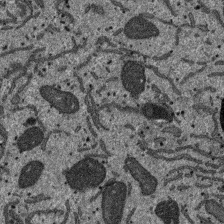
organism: Human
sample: Lung epithelial cells infected with SARS-CoV-2